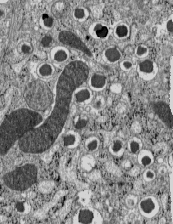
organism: C57BL Mouse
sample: Pancreatic islet